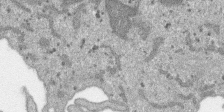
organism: Human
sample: Lung epithelial cells infected with SARS-CoV-2